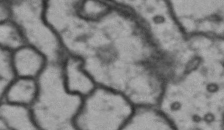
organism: Drosophila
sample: Brain